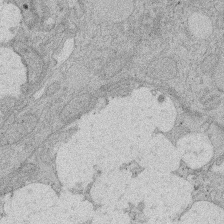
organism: Rat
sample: Salivary granule